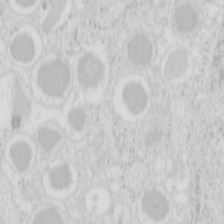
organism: Mouse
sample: Pancreas